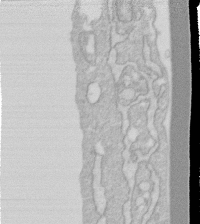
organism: Human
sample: Fibroblast cells